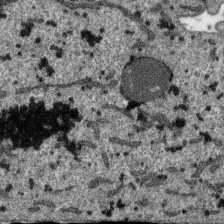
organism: Human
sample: Lung epithelial cells infected with SARS-CoV-2